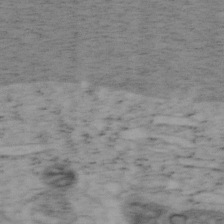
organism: Mouse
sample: OT-I killer T cells with ID8 ovarian cancer cells